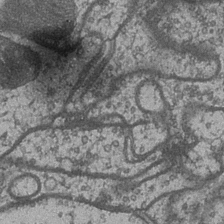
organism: Drosophila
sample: Optic medulla